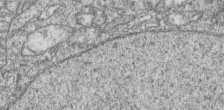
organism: Human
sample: HeLa cell HIV synapse